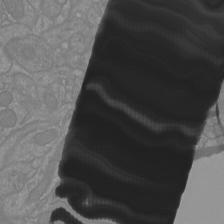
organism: Mouse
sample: Cortical neurons